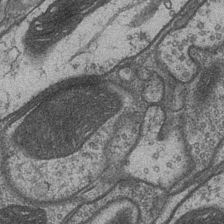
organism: Drosophila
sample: Optic medulla